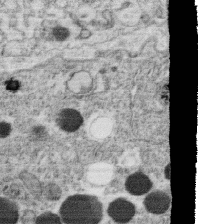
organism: C. elegans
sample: C. elegans oocyte; sperm cells